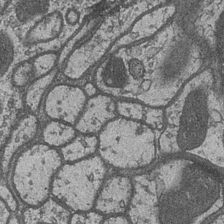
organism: Drosophila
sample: Optic medulla